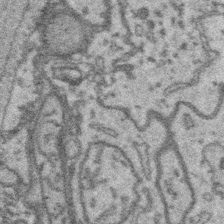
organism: Platynereis dumerilii